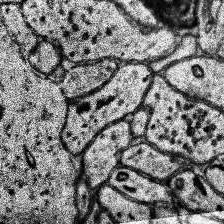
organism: Human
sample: Temporal Lobe